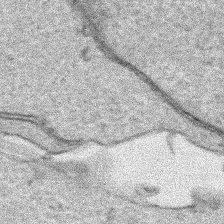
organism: Human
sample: Mitochondria in HCT116 cells